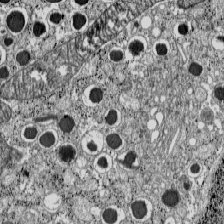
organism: C57BL Mouse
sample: Pancreatic islet